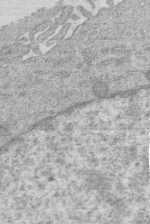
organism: Human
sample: Macrophage cells